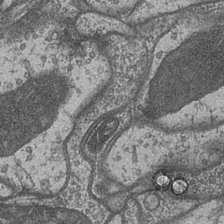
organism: Drosophila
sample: Optic medulla